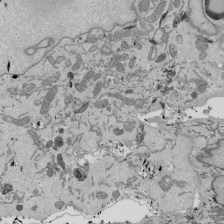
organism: Mouse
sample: ED-1 cell nuclei; centrioles